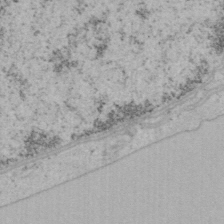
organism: Human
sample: HeLa cells